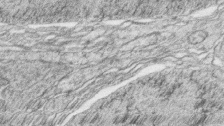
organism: Zebrafish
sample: synaptic ribbons in rod cells and cone cells